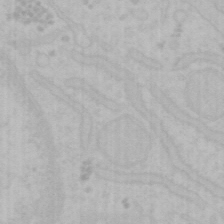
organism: Mouse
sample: Choroid plexus